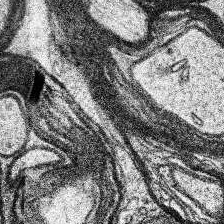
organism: Human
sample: Temporal Lobe